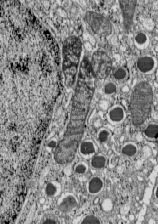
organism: C57BL Mouse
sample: Pancreatic islet